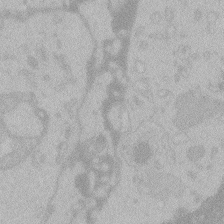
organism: Zebrafish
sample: Macrophage infected with Toxoplasma gondii